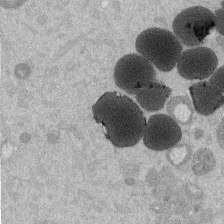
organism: Mouse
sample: Dividing mouse embryo 1 cell stage